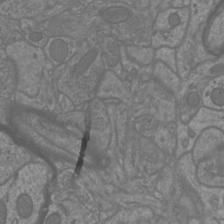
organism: Mouse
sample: Cortical neurons